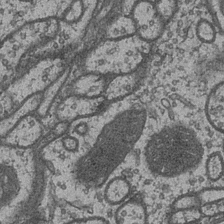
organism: Drosophila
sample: Optic medulla